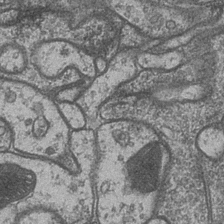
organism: Drosophila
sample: Optic medulla